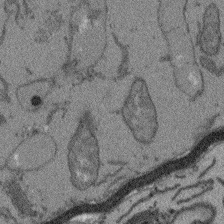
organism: Arabidopsis thaliana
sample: Root tip